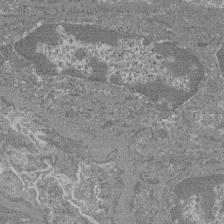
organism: Mouse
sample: Glomerulus